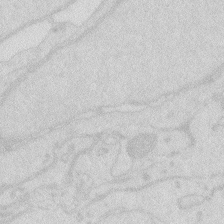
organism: Zebrafish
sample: Macrophage